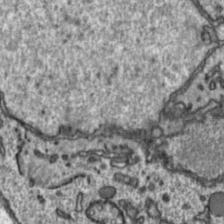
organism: Toxoplasma gondii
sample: Parasites in a vacuole inside a host cell